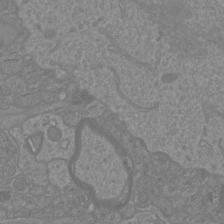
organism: Mouse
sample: Cortical neurons